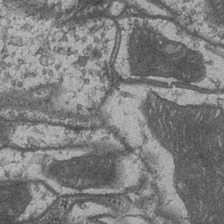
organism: Drosophila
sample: Optic medulla